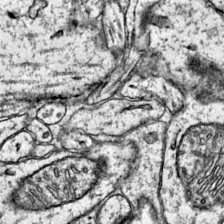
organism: Mouse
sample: Primary visual cortex